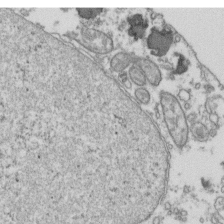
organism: Human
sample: Activated Jurkat CD4+ T cells